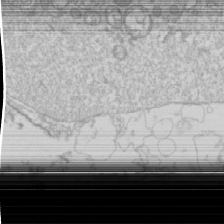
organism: Drosophila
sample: Cell division; meiosis; drosophila spermatocytes